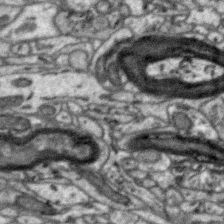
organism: Zebra finch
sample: Brain